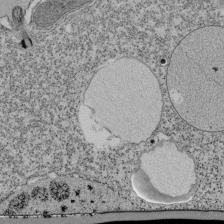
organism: Tetrahymena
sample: Cilia in tetrahymena